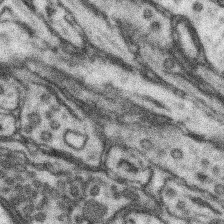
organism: Mouse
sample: Somatosensory cortex neuropil